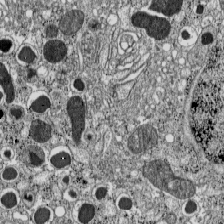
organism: C57BL Mouse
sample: Pancreatic islet